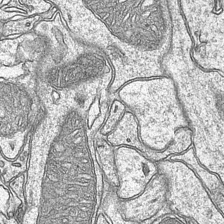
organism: Mouse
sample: CA1 Hippocampus